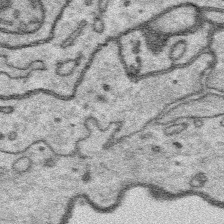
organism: Platynereis dumerilii